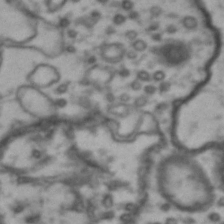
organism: Drosophila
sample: Brain